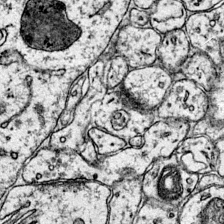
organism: Mouse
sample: Primary visual cortex